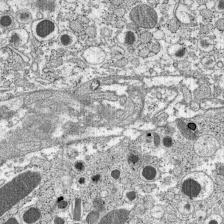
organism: C57BL Mouse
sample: Pancreatic islet